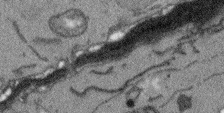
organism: Arabidopsis thaliana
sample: Root tip